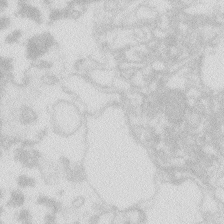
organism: Zebrafish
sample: Macrophage